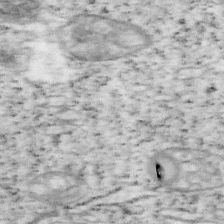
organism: Mouse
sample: OT-I killer T cells with ID8 ovarian cancer cells